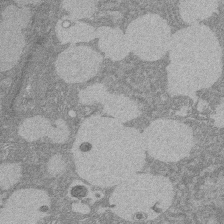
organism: Rat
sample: Salivary granule